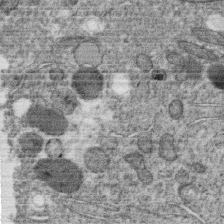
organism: C. elegans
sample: C. elegans oocyte; sperm cells